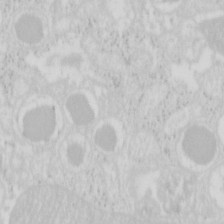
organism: Mouse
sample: Pancreas